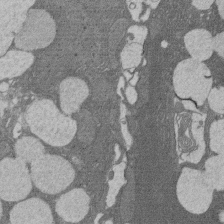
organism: Rat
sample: Salivary granule